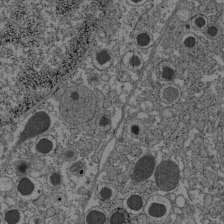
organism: C57BL Mouse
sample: Pancreatic islet